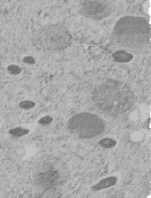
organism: C. elegans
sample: C. elegans embryo early stage